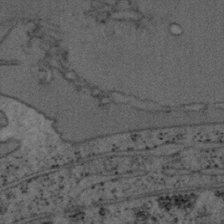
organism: Human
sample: HeLa cells